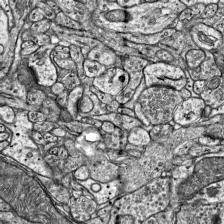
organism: Mouse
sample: Visual Cortex